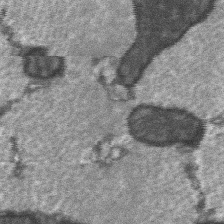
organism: C57BL Mouse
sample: Soleus